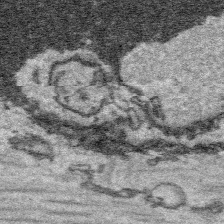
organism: Platynereis dumerilii